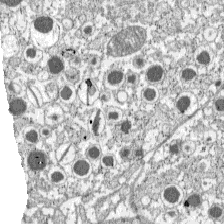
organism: C57BL Mouse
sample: Pancreatic islet